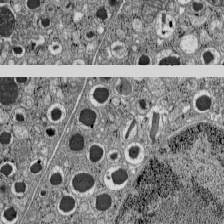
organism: C57BL Mouse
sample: Pancreatic islet